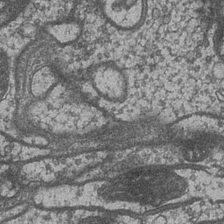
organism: Drosophila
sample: Optic medulla